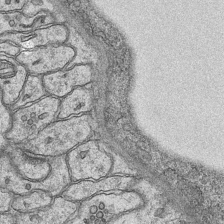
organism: Mouse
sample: CA1 Hippocampus